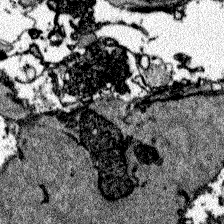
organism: Zebrafish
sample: Larval olfactory bulb